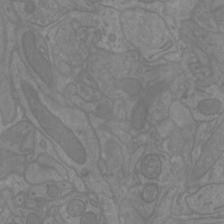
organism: Mouse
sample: Cortical neurons